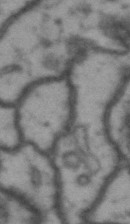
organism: Drosophila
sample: Brain